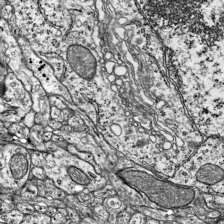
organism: Mouse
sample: Visual Cortex